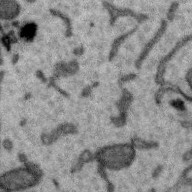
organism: Zebra finch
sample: Brain